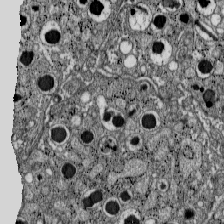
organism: C57BL Mouse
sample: Pancreatic islet